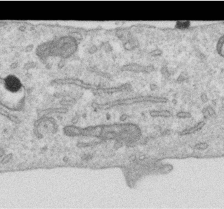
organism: Human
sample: Centriole in RPE cells